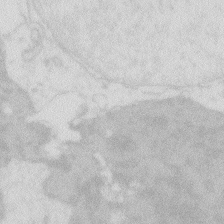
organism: Zebrafish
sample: Macrophage